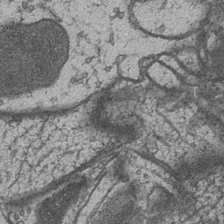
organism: Drosophila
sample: Optic medulla